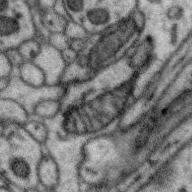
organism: Zebra finch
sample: Brain